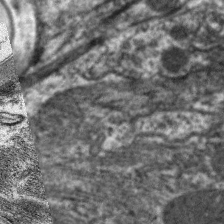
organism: C. elegans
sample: Pharynx